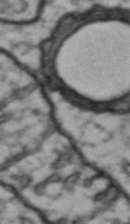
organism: Drosophila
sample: Brain